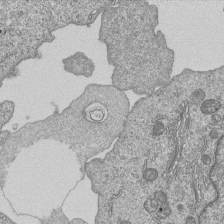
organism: Human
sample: MDA-MB-231 cells